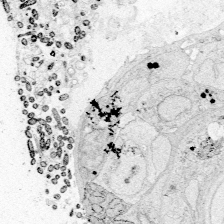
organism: Zebrafish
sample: Whole-Brain